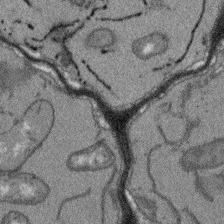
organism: Arabidopsis thaliana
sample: Root tip